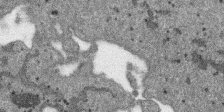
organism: Human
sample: Lung epithelial cells infected with SARS-CoV-2